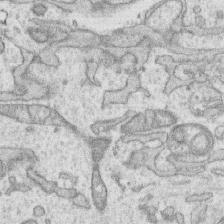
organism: Human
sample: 1205lu cells